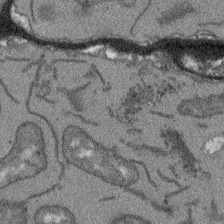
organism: Arabidopsis thaliana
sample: Root tip